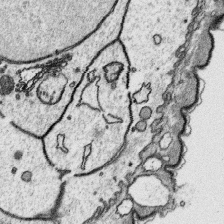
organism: Platynereis dumerilii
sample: Parapodia